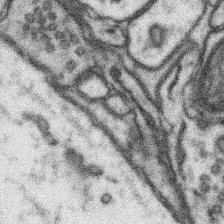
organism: Mouse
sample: Somatosensory cortex neuropil